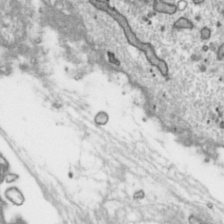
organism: Toxoplasma gondii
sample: Parasites in a vacuole inside a host cell